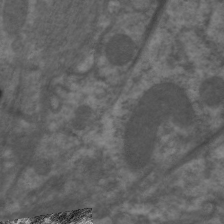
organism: C. elegans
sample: Pharynx